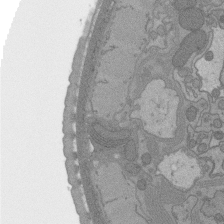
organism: C. elegans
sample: AFD neurons C. elegans